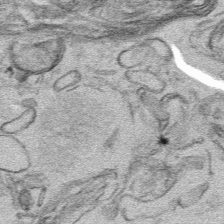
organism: Mouse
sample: Mouse hepatocytes